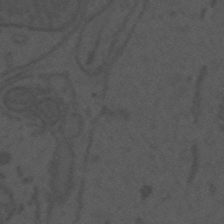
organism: Mouse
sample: Suprachiasmatic nucleus